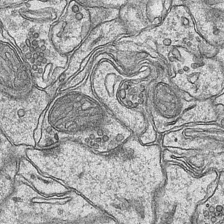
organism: Mouse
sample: CA1 Hippocampus